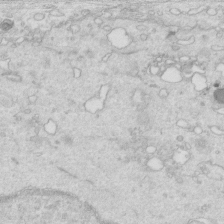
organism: Mouse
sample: Multiciliated cells